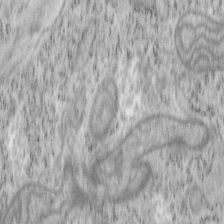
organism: Human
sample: HeLa cells